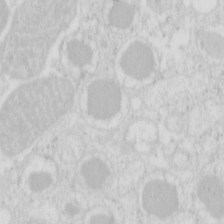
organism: Mouse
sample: Pancreas